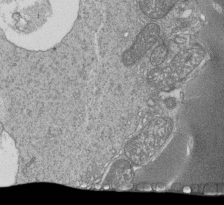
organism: Tetrahymena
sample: Cilia in tetrahymena